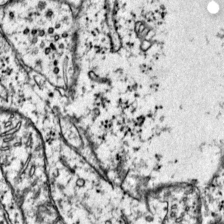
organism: Mouse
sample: Primary visual cortex